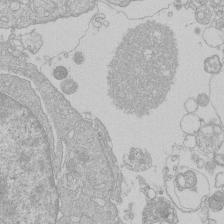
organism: Human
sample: Macrophage cells